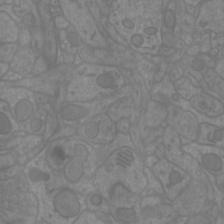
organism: Mouse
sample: Cortical neurons